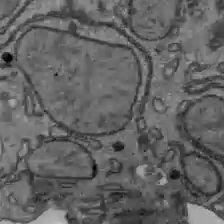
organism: C57BL Mouse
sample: Liver